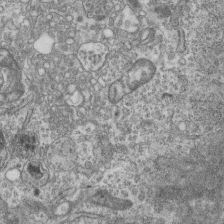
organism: Mouse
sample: Centriole in ependymal cells